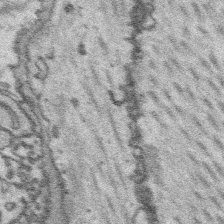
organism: Platynereis dumerilii